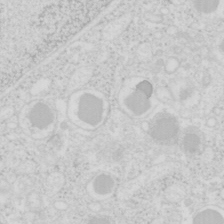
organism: Mouse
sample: Pancreas